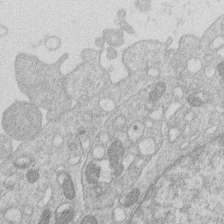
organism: Human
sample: Macrophage cells